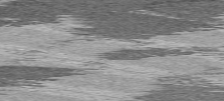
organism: C57BL Mouse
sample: Heart